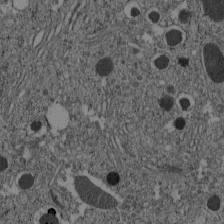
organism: C57BL Mouse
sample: Pancreatic islet